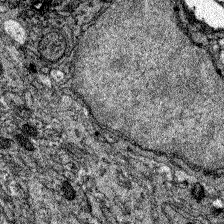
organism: Zebrafish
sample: Larval olfactory bulb